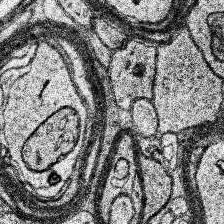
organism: Human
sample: Temporal Lobe